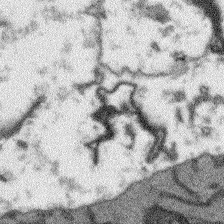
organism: Arabidopsis thaliana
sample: Root tip